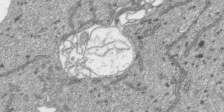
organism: Human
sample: Lung epithelial cells infected with SARS-CoV-2